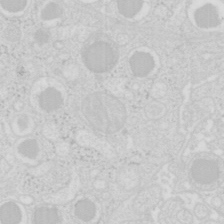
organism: Mouse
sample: Pancreas